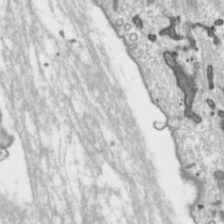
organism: Toxoplasma gondii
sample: Parasites in a vacuole inside a host cell